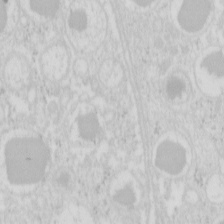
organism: Mouse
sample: Pancreas